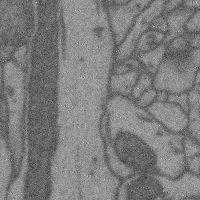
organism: Mouse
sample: Cerebral cortex